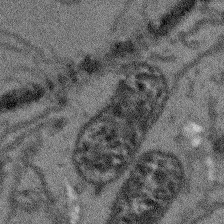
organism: Arabidopsis thaliana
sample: Root tip